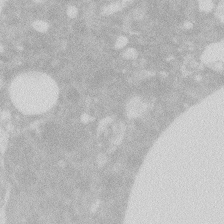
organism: Zebrafish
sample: Macrophage